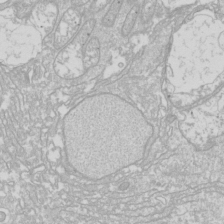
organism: Drosophila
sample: Cell division; meiosis; drosophila spermatocytes